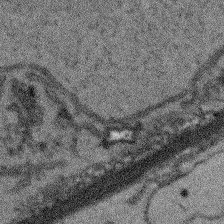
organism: Arabidopsis thaliana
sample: Root tip